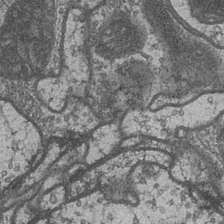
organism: Drosophila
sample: Optic medulla